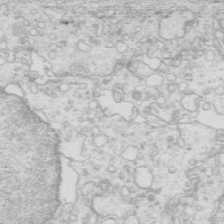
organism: Mouse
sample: Multiciliated cells